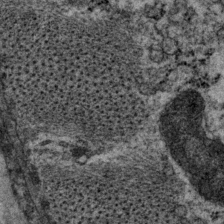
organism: P. pacificus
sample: Pharynx